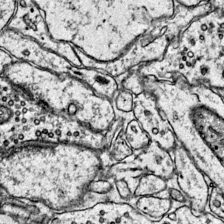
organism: Mouse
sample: Primary visual cortex